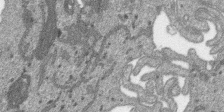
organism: Human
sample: Lung epithelial cells infected with SARS-CoV-2